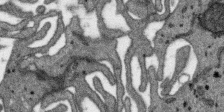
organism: Human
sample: Lung epithelial cells, uninfected (mock) control